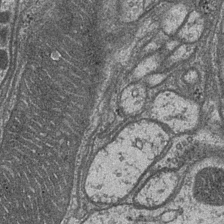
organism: Drosophila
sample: Optic medulla